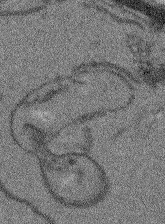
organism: Arabidopsis thaliana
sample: Root tip